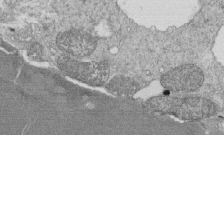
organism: Tetrahymena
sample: Cilia in tetrahymena